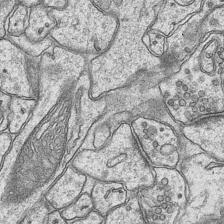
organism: Mouse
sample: CA1 Hippocampus